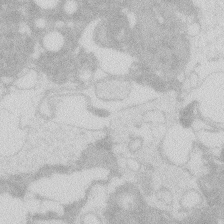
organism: Zebrafish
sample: Macrophage